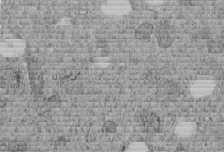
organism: C. elegans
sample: C. elegans embryo early stage